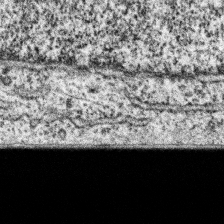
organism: Human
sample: HeLa cells